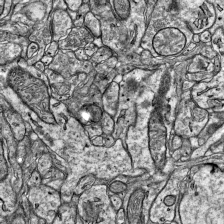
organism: Mouse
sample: Visual Cortex